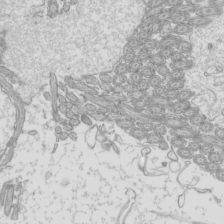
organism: Mouse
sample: Cilia; mouse epididymis